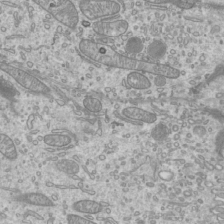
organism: Mouse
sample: Cilia; mouse epididymis